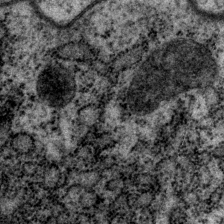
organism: P. pacificus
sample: Pharynx